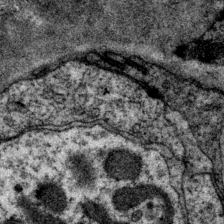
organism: P. pacificus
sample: Pharynx